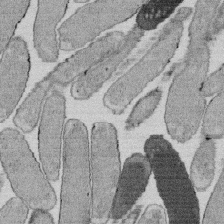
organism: E. coli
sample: Bacterial nucleoid